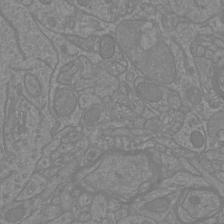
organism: Mouse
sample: Cortical neurons